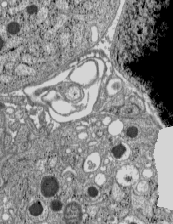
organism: C57BL Mouse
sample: Pancreatic islet